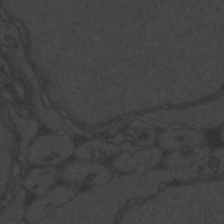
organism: Zebrafish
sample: Macrophage infected with Toxoplasma gondii